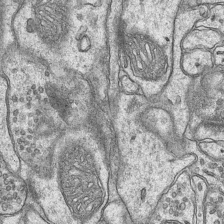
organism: Mouse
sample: CA1 Hippocampus